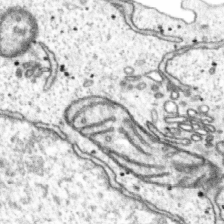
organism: Human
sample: HeLa cells